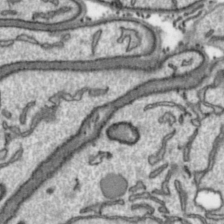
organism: Toxoplasma gondii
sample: Parasites in a vacuole inside a host cell